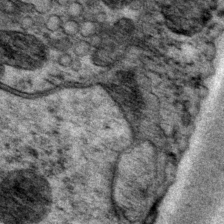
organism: P. pacificus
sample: Pharynx